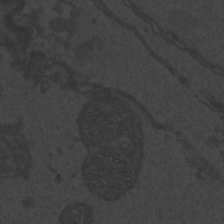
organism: Zebrafish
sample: Macrophage infected with Toxoplasma gondii